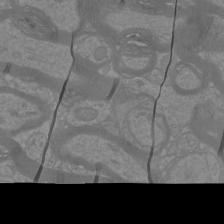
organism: Mouse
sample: Cortical neurons